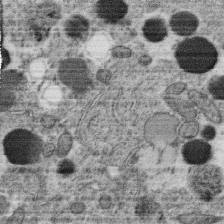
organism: C. elegans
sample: C. elegans oocyte; sperm cells